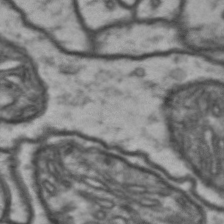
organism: Drosophila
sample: Brain